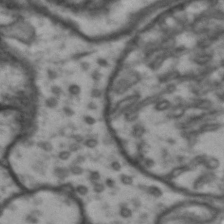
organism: Drosophila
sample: Brain